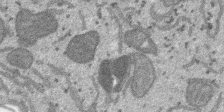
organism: Human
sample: Lung epithelial cells infected with SARS-CoV-2